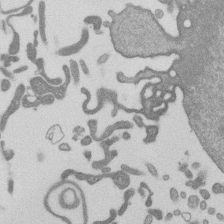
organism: Mouse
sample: Dividing mouse embryo 1 cell stage